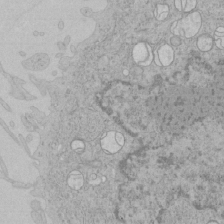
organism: Human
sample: Mitochondria in HCT116 cells